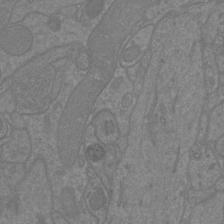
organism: Mouse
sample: Cortical neurons